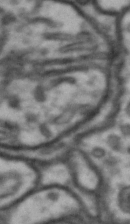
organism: Drosophila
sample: Brain